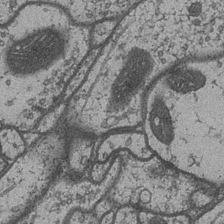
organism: Drosophila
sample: Optic medulla